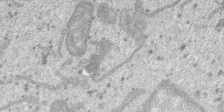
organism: Human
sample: Lung epithelial cells infected with SARS-CoV-2